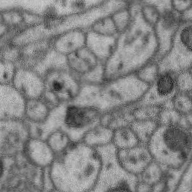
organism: Zebra finch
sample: Brain